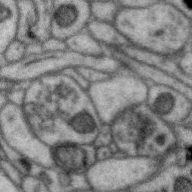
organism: Zebra finch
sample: Brain